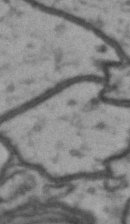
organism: Drosophila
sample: Brain